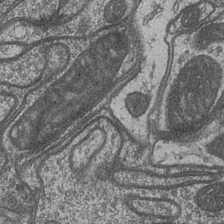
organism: Drosophila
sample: Optic medulla